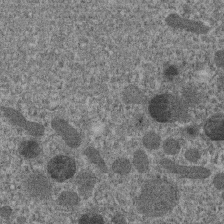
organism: C. elegans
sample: C. elegans embryo early stage